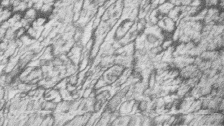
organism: Zebrafish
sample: synaptic ribbons in rod cells and cone cells